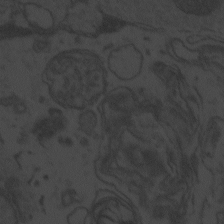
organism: Zebrafish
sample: Macrophage infected with Toxoplasma gondii